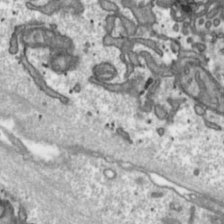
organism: Toxoplasma gondii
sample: Parasites in a vacuole inside a host cell